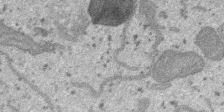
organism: Human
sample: Lung epithelial cells infected with SARS-CoV-2